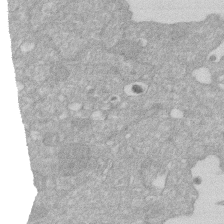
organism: Human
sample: HIV infected U937 cells